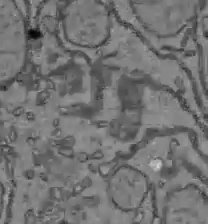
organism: C57BL Mouse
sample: Liver